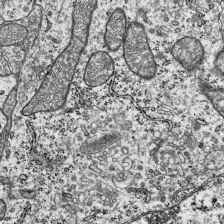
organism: Mouse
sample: Visual Cortex